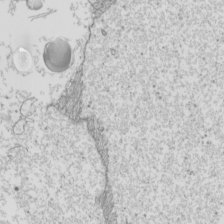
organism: Mouse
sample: Cilia; mouse epididymis